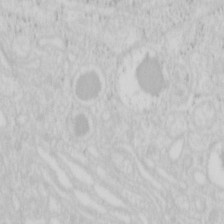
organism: Mouse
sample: Pancreas